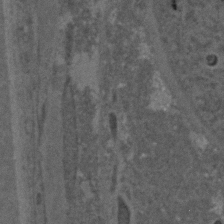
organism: C. elegans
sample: C. elegans embryo